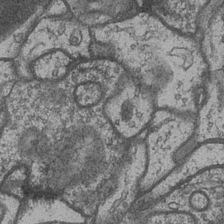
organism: Drosophila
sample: Optic medulla